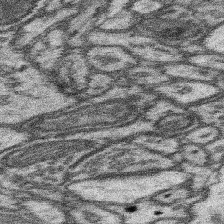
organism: Mouse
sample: Somatosensory cortex neuropil